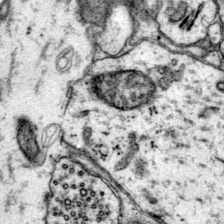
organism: Mouse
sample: Primary visual cortex